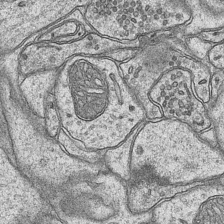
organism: Mouse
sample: CA1 Hippocampus